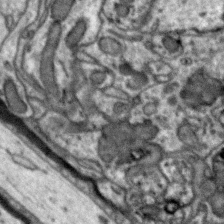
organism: Zebra finch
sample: Brain